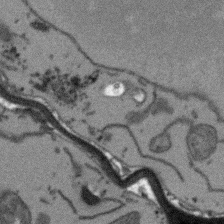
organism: Arabidopsis thaliana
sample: Root tip